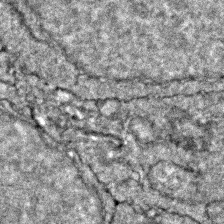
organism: Zebrafish